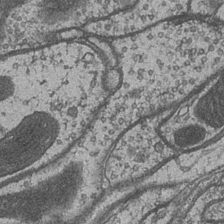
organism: Drosophila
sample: Optic medulla